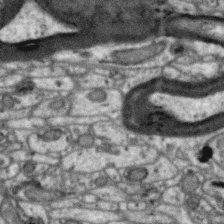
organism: Zebra finch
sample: Brain